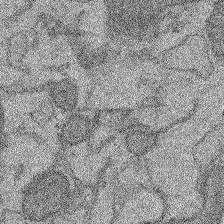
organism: Human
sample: HeLa cells